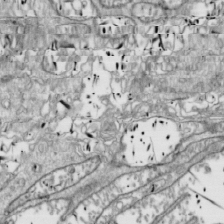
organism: Drosophila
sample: Cell division; meiosis; drosophila spermatocytes